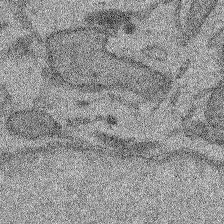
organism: Human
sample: HeLa cells